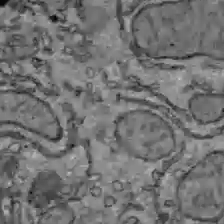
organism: C57BL Mouse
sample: Liver